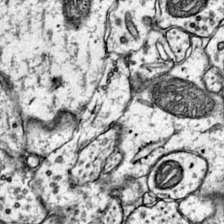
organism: Mouse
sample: Primary visual cortex